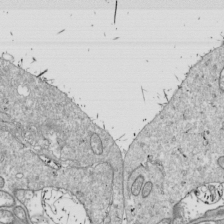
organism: Drosophila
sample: Cell division; meiosis; drosophila spermatocytes